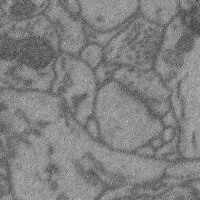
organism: Mouse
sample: Cerebral cortex